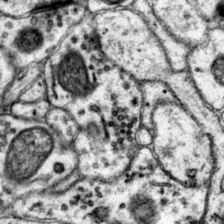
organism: Mouse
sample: Primary visual cortex